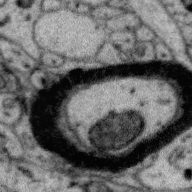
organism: Zebra finch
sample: Brain